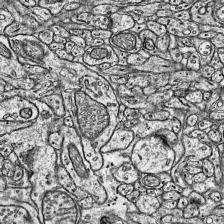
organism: Mouse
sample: Visual Cortex